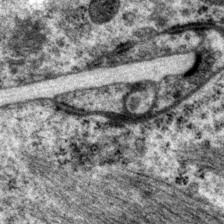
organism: P. pacificus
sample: Pharynx